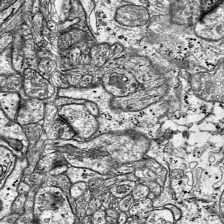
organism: Mouse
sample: Visual Cortex